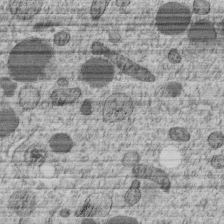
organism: C. elegans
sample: C. elegans embryo early stage